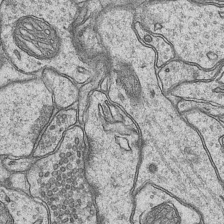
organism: Mouse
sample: CA1 Hippocampus